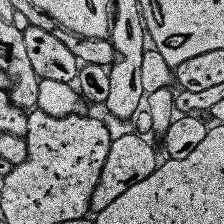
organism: Human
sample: Temporal Lobe